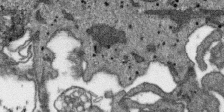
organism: Human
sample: Lung epithelial cells, uninfected (mock) control